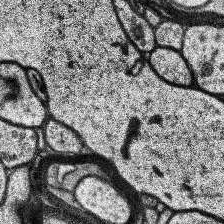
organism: Human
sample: Temporal Lobe